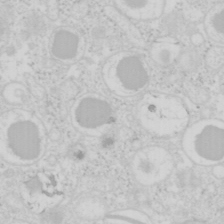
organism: Mouse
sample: Pancreas